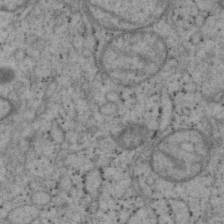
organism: Human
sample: HeLa cells